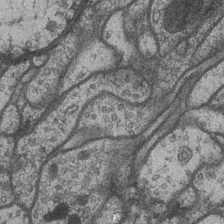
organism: Drosophila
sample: Optic medulla